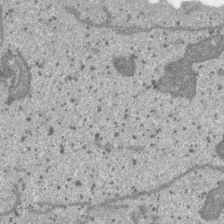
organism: Human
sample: Lung epithelial cells infected with SARS-CoV-2